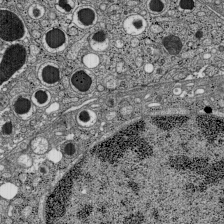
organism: C57BL Mouse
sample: Pancreatic islet